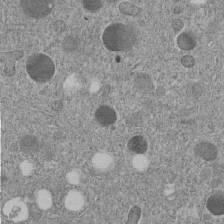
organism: C. elegans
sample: C. elegans embryo early stage